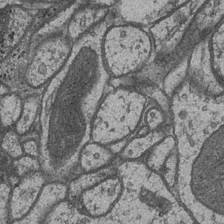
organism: Drosophila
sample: Optic medulla